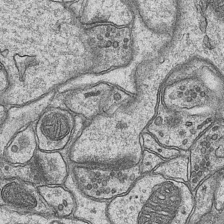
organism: Mouse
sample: CA1 Hippocampus